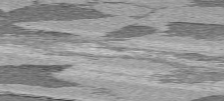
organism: C57BL Mouse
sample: Heart